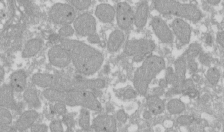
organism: Xenopus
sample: Cilia; centrioles in frog embryo cells